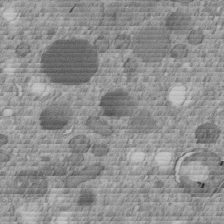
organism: C. elegans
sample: C. elegans embryo early stage